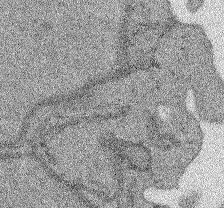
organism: Human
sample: HeLa cells